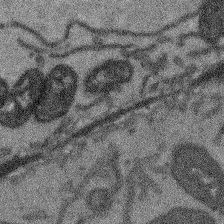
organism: Arabidopsis thaliana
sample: Root tip